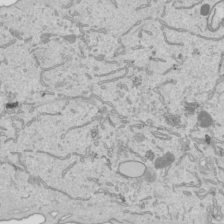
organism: Human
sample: Mitochondria in HCT116 cells